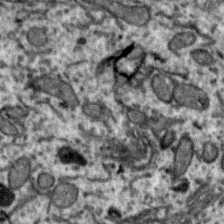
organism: Zebra finch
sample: Brain